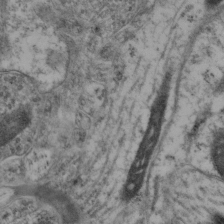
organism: Mouse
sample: Neocortex